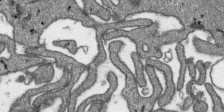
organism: Human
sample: Lung epithelial cells, uninfected (mock) control